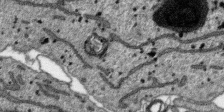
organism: Human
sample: Lung epithelial cells, uninfected (mock) control